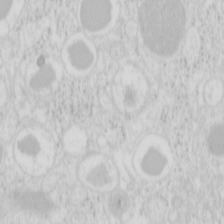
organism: Mouse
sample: Pancreas